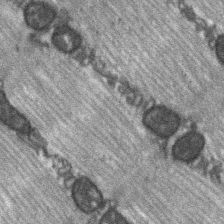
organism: C57BL Mouse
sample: Soleus